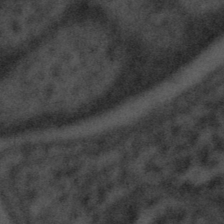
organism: Tuwongella immobilis